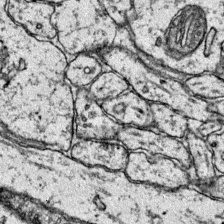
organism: Mouse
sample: Primary visual cortex